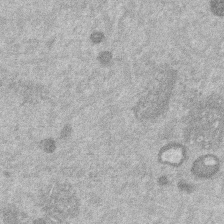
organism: Mouse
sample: Dividing mouse embryo 1 cell stage